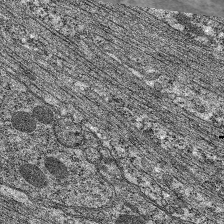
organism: C. elegans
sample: Pharynx